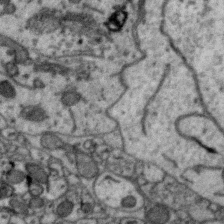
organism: Zebra finch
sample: Brain